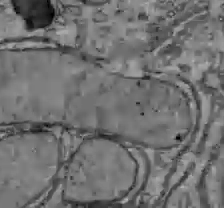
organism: C57BL Mouse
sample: Liver